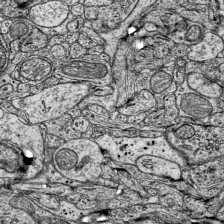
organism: Mouse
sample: Visual Cortex